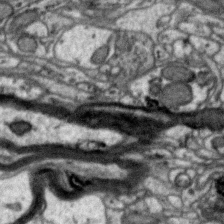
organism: Zebra finch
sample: Brain